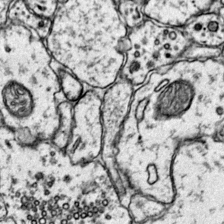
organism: Mouse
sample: Primary visual cortex